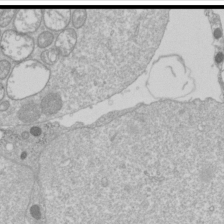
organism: Drosophila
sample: Cell division; meiosis; drosophila spermatocytes